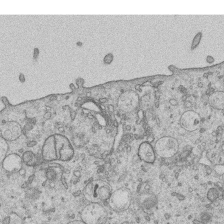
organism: Human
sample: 1205lu cells